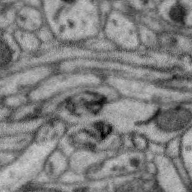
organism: Zebra finch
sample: Brain